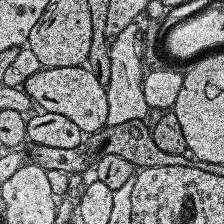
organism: Human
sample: Temporal Lobe